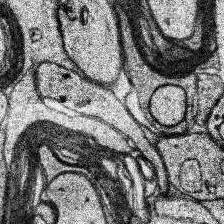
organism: Human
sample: Temporal Lobe